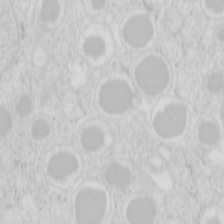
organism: Mouse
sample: Pancreas